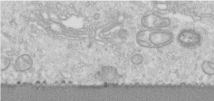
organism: Human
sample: Centriole in RPE cells